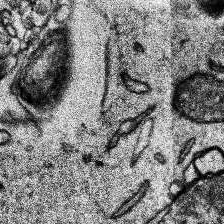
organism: Human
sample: Temporal Lobe